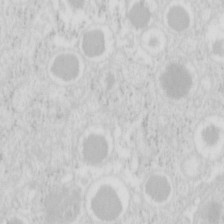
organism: Mouse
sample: Pancreas